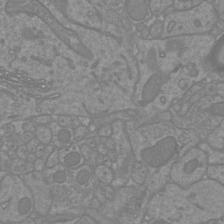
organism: Mouse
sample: Cortical neurons